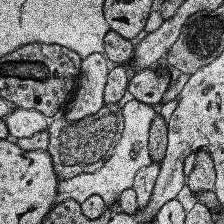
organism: Human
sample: Temporal Lobe